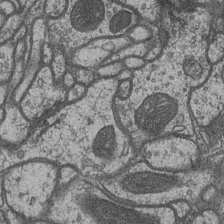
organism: Drosophila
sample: Optic medulla